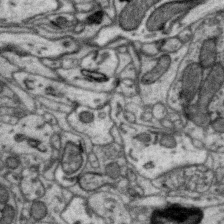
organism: Zebra finch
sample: Brain